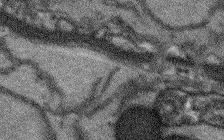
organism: Arabidopsis thaliana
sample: Root tip